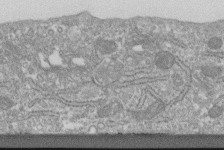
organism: Human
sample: Centriole in fibroblast cells